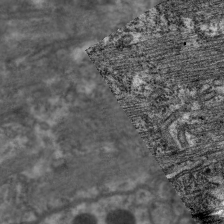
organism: C. elegans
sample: Pharynx